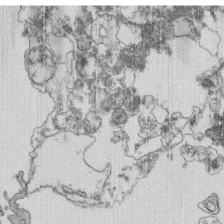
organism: Human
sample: HeLa cell HIV synapse